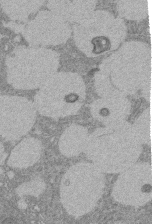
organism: Rat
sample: Salivary granule